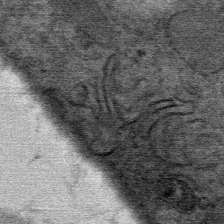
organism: Mouse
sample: Mouse Salivary gland